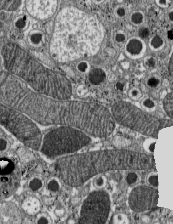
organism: C57BL Mouse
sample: Pancreatic islet